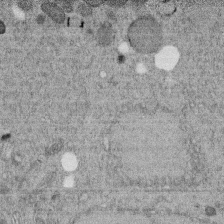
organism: C. elegans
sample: C. elegans embryo early stage